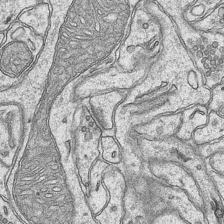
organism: Mouse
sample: CA1 Hippocampus